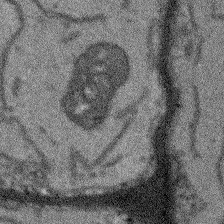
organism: Arabidopsis thaliana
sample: Root tip